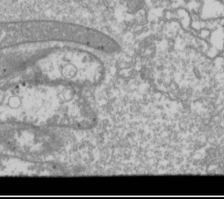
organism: Drosophila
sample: Cell division; meiosis; drosophila spermatocytes